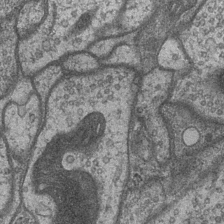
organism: Drosophila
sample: Optic medulla